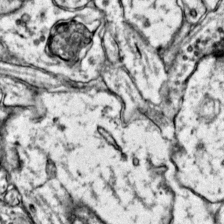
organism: Mouse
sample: Primary visual cortex